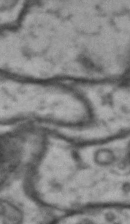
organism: Drosophila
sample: Brain